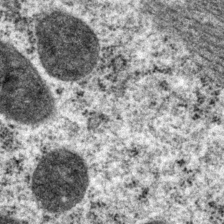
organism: P. pacificus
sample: Pharynx